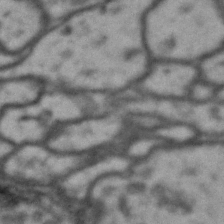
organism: Drosophila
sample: Brain